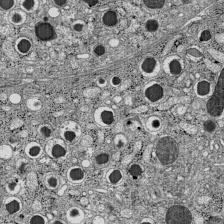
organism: C57BL Mouse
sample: Pancreatic islet